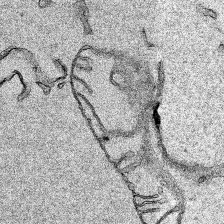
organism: Human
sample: Mitochondria in HCT116 cells